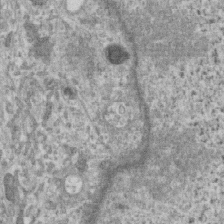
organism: Human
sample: Centriole in RPE cells